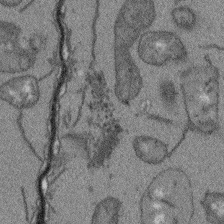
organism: Arabidopsis thaliana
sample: Root tip